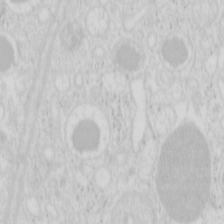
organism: Mouse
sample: Pancreas